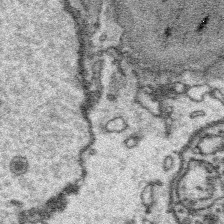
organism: Platynereis dumerilii